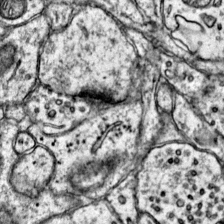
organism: Mouse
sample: Primary visual cortex